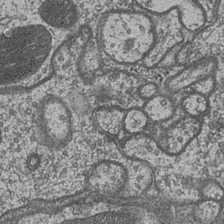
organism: Drosophila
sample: Optic medulla